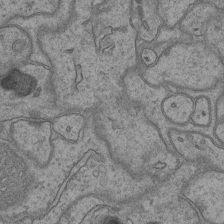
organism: Mouse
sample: CA1 Hippocampus